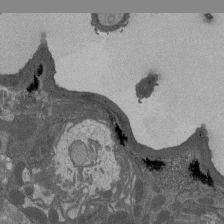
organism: Drosophila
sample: Antenna